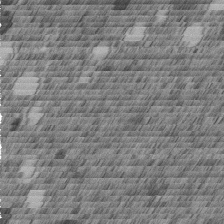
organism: C. elegans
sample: C. elegans embryo early stage